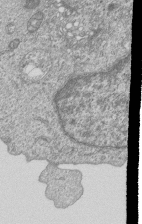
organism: Human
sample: MDA-MB-231 cells